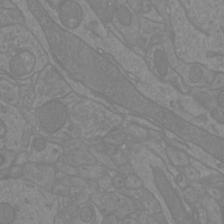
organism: Mouse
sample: Cortical neurons